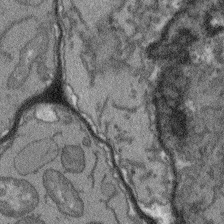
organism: Arabidopsis thaliana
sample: Root tip